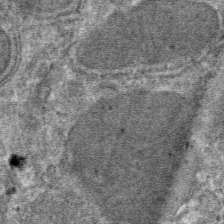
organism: Mouse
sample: Mouse hepatocytes